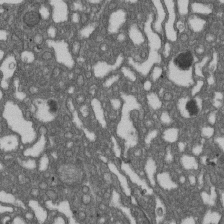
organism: Drosophila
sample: Nephrocyte